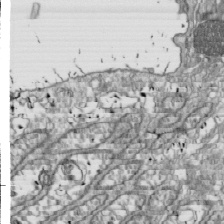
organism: Drosophila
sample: Cell division; meiosis; drosophila spermatocytes